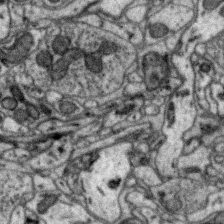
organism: Zebra finch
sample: Brain